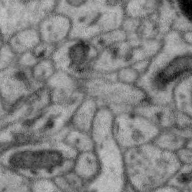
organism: Zebra finch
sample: Brain